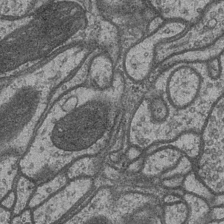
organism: Drosophila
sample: Optic medulla